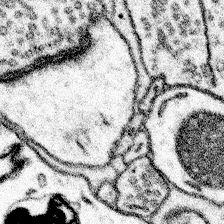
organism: Mouse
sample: Somatosensory cortex neuropil